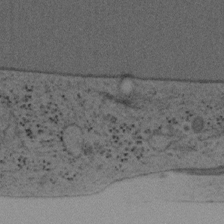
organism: Human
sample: HeLa cells